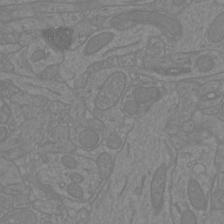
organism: Mouse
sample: Cortical neurons